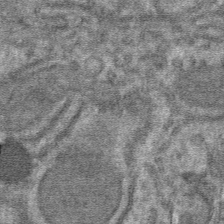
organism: Mouse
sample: Mouse hepatocytes